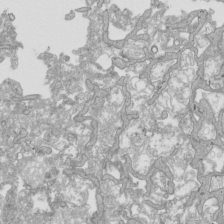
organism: Human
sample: Mitochondria in HCT116 cells